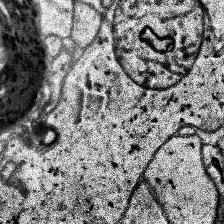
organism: Human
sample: Temporal Lobe